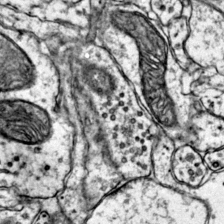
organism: Mouse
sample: Primary visual cortex